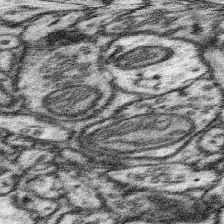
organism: Mouse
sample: Somatosensory cortex neuropil